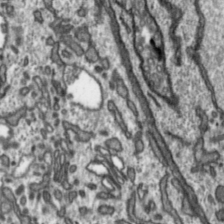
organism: Toxoplasma gondii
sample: Parasites in a vacuole inside a host cell